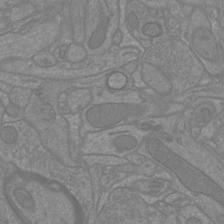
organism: Mouse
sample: Cortical neurons